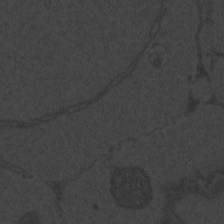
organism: Zebrafish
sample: Macrophage infected with Toxoplasma gondii